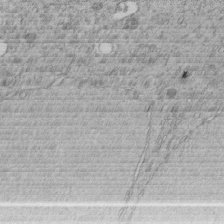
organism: C. elegans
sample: C. elegans embryo early stage